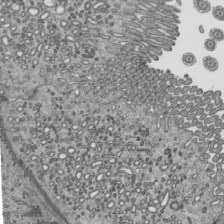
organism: Mouse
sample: Mouse epididymis efferent ductule cilia